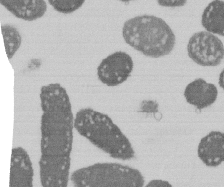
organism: E. coli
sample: Bacterial nucleoid